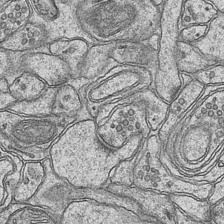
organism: Mouse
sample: CA1 Hippocampus